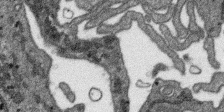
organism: Human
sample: Lung epithelial cells infected with SARS-CoV-2